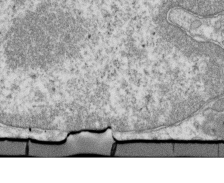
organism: Mouse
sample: Activated OT-1 CD8+ T cells